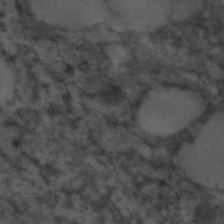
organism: C. elegans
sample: C. elegans embryo